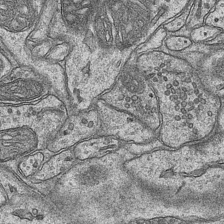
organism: Mouse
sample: CA1 Hippocampus